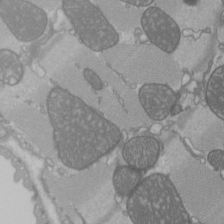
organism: C57BL Mouse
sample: Heart